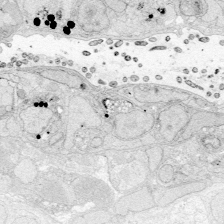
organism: Zebrafish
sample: Whole-Brain